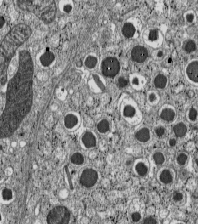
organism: C57BL Mouse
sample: Pancreatic islet